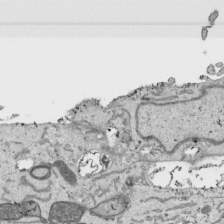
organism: Human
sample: Mitochondria in HCT116 cells